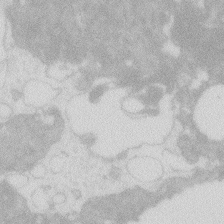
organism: Zebrafish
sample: Macrophage